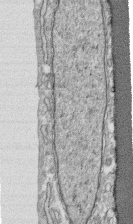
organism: Human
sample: CRL-1474